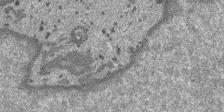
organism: Human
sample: Lung epithelial cells infected with SARS-CoV-2